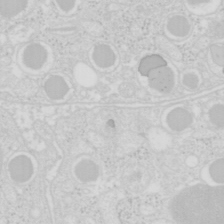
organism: Mouse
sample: Pancreas